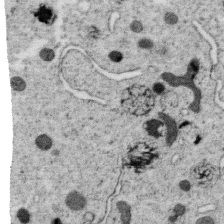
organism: C. elegans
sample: C. elegans oocyte; sperm cells